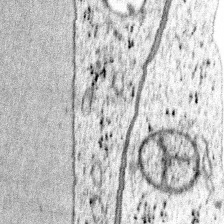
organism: Human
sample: HeLa cells